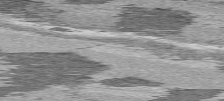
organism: C57BL Mouse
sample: Heart